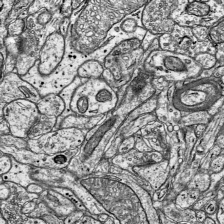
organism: Mouse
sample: Visual Cortex